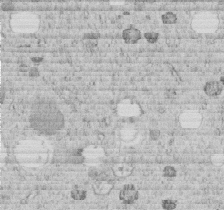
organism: C. elegans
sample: C. elegans embryo early stage